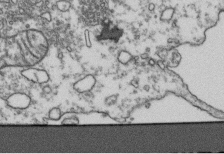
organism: Human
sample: Activated Jurkat CD4+ T cells